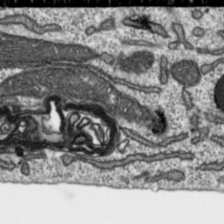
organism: Toxoplasma gondii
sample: Parasites in a vacuole inside a host cell